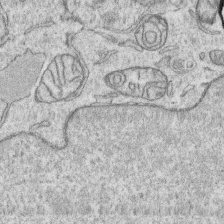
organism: Human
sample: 1205lu cells